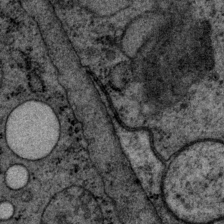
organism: P. pacificus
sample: Pharynx